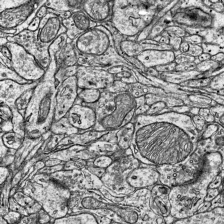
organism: Mouse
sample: Visual Cortex